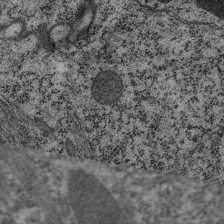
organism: C. elegans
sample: Pharynx